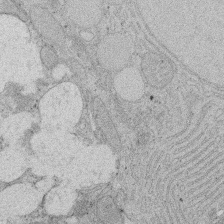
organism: Rat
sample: Salivary granule